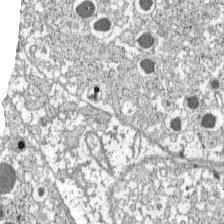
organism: C57BL Mouse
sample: Pancreatic islet